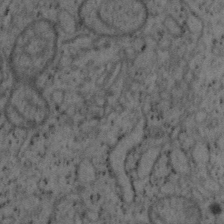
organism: Human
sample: HeLa cells